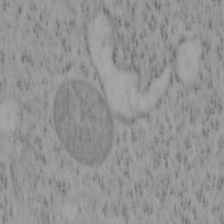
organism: Mouse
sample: OT-I killer T cells with ID8 ovarian cancer cells